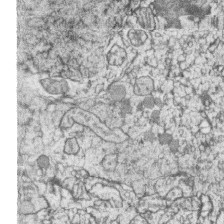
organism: Zebrafish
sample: synaptic ribbons in rod cells and cone cells